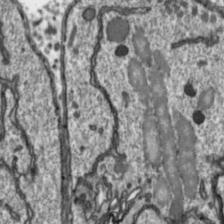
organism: Toxoplasma gondii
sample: Parasites in a vacuole inside a host cell